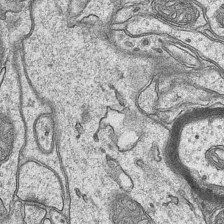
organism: Mouse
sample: CA1 Hippocampus